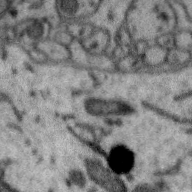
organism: Zebra finch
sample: Brain